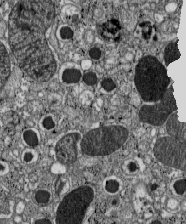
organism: C57BL Mouse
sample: Pancreatic islet